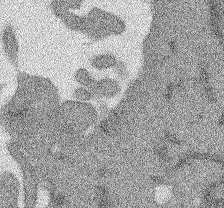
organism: Human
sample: HeLa cells